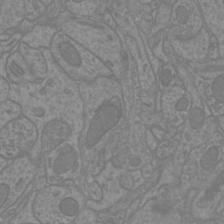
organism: Mouse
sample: Cortical neurons